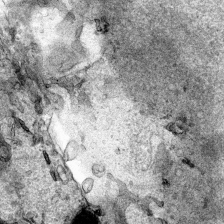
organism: Human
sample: Mitochondria in HCT116 cells